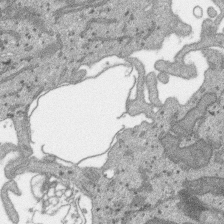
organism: Human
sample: Lung epithelial cells infected with SARS-CoV-2